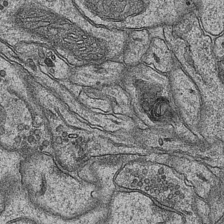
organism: Mouse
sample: CA1 Hippocampus